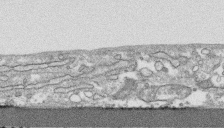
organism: Human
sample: CRL-1474